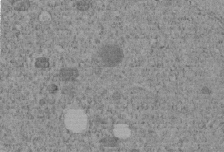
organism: C. elegans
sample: C. elegans embryo early stage